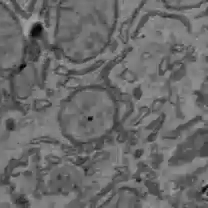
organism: C57BL Mouse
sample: Liver